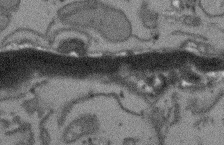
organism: Arabidopsis thaliana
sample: Root tip